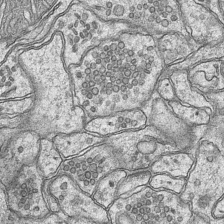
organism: Mouse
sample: CA1 Hippocampus